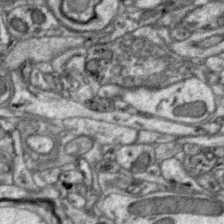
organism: Zebra finch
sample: Brain